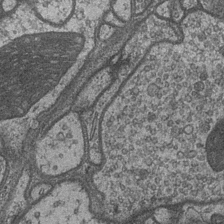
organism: Drosophila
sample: Optic medulla